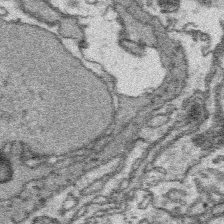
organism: Platynereis dumerilii